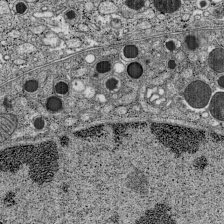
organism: C57BL Mouse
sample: Pancreatic islet